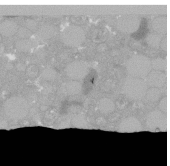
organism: C. elegans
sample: C. elegans oocyte; sperm cells